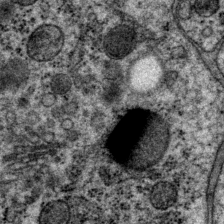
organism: P. pacificus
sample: Pharynx